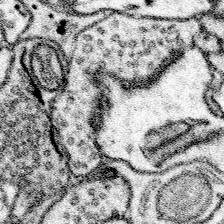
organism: Mouse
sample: Somatosensory cortex neuropil